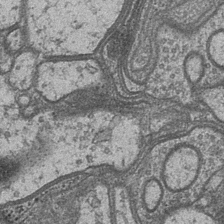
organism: Drosophila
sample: Optic medulla